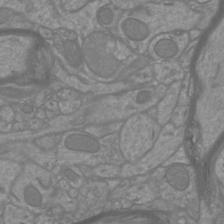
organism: Mouse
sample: Cortical neurons